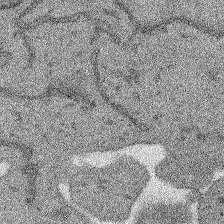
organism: Human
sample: HeLa cells